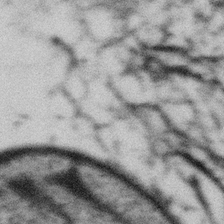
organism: Gemmata obscuriglobus